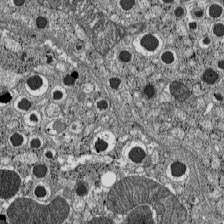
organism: C57BL Mouse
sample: Pancreatic islet